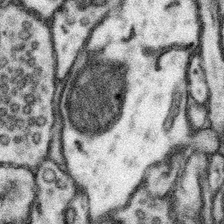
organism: Mouse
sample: Somatosensory cortex neuropil